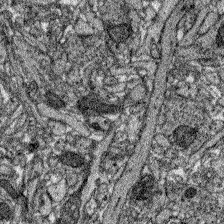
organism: Zebrafish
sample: Larval olfactory bulb